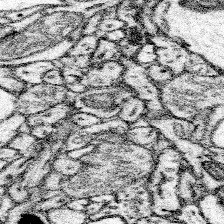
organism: Mouse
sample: Somatosensory cortex neuropil